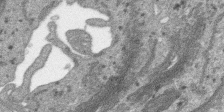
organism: Human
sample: Lung epithelial cells infected with SARS-CoV-2